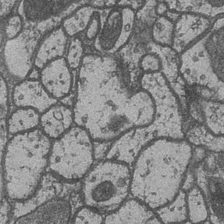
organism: Drosophila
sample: Optic medulla